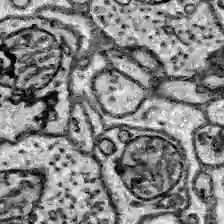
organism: Zebrafish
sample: Brain